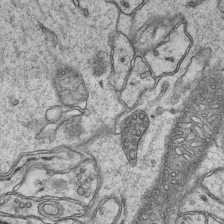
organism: Mouse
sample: CA1 Hippocampus